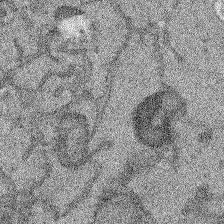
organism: Human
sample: HeLa cells